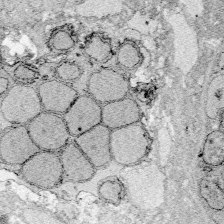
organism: Zebrafish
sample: Whole-Brain